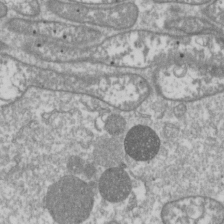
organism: Drosophila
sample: Cell division; meiosis; drosophila spermatocytes